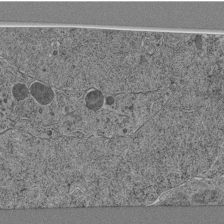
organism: C. elegans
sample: C. elegans pharynx